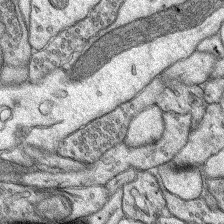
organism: Rat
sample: Hippocampus